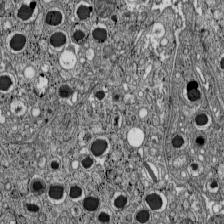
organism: C57BL Mouse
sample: Pancreatic islet